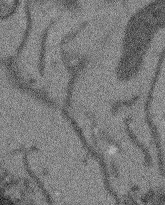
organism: Arabidopsis thaliana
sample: Root tip